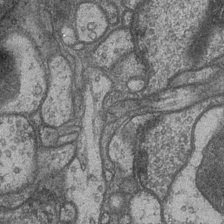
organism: Drosophila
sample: Optic medulla